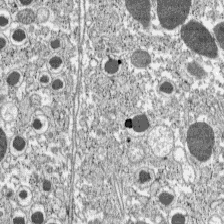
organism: C57BL Mouse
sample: Pancreatic islet